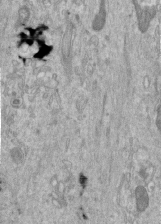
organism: Human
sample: Centriole in RPE cells